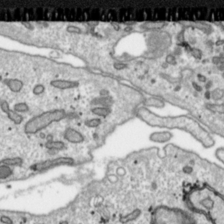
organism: Toxoplasma gondii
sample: Parasites in a vacuole inside a host cell